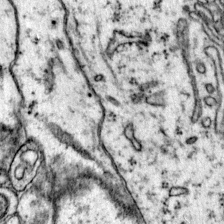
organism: Mouse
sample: Primary visual cortex